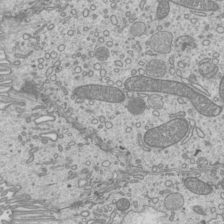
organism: Mouse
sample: Cilia; mouse epididymis